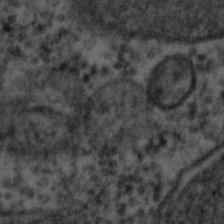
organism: C. elegans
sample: C. elegans embryo